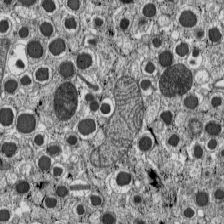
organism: C57BL Mouse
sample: Pancreatic islet